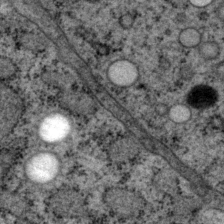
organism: P. pacificus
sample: Pharynx